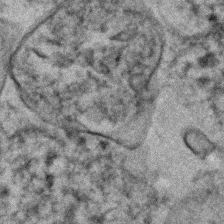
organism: Human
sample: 1205lu cells